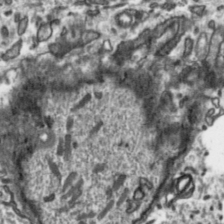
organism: Toxoplasma gondii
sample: Parasites in a vacuole inside a host cell